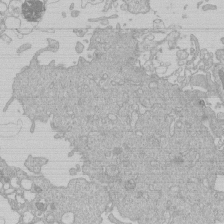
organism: Human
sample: Macrophage cells